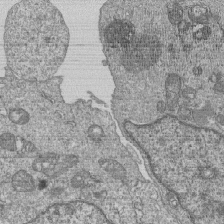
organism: Human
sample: MDA-MB-231 cells